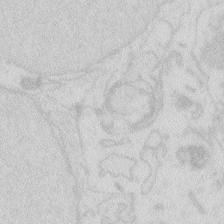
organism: Zebrafish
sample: Macrophage